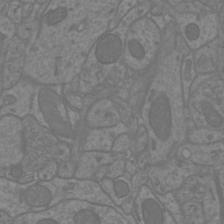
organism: Mouse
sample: Cortical neurons